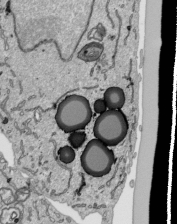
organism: Human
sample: Mitochondria in HCT116 cells